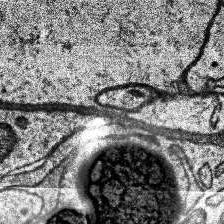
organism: Human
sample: Temporal Lobe